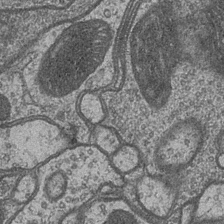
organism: Drosophila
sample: Optic medulla